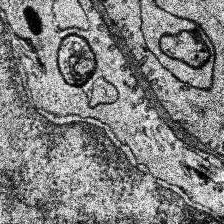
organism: Human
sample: Temporal Lobe